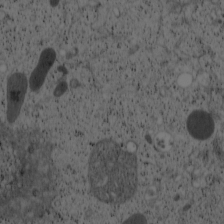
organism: African green monkey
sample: COS-7 cells